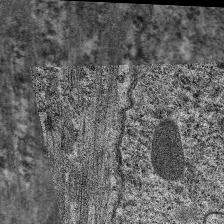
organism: C. elegans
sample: Pharynx